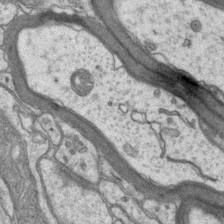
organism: Mouse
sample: CA1 Hippocampus